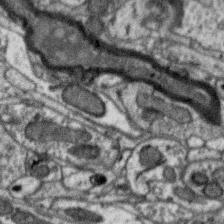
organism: Zebra finch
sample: Brain